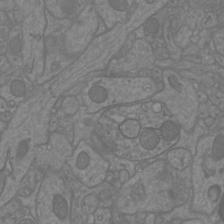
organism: Mouse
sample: Cortical neurons